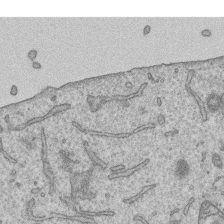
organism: Human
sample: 1205lu cells